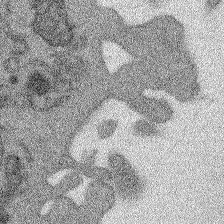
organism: Human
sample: HeLa cells